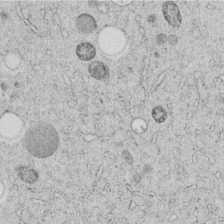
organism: C. elegans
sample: C. elegans embryo early stage